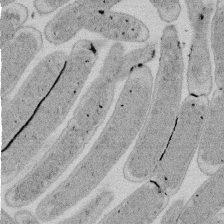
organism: E. coli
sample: Bacterial nucleoid